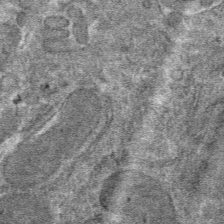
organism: Mouse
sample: Mouse hepatocytes